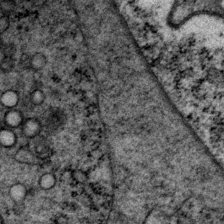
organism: P. pacificus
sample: Pharynx